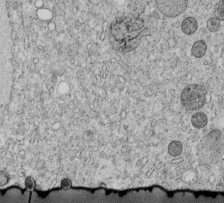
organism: C. elegans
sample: C. elegans embryo early stage